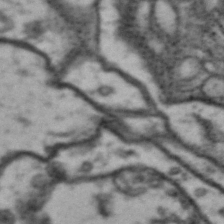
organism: Drosophila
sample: Brain